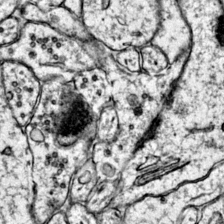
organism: Mouse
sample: Primary visual cortex